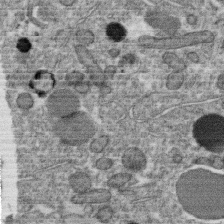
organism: C. elegans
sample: C. elegans oocyte; sperm cells